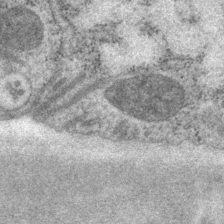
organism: P. pacificus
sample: Pharynx